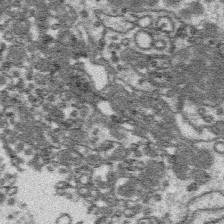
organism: Platynereis dumerilii